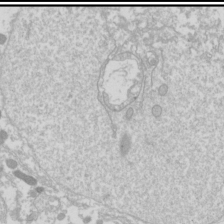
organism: Drosophila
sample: Cell division; meiosis; drosophila spermatocytes